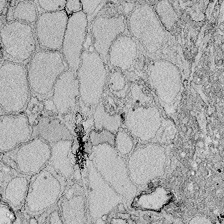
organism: Zebrafish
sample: Whole-Brain